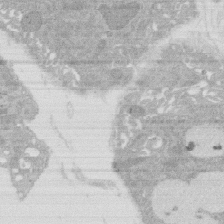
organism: Rat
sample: Salivary granule